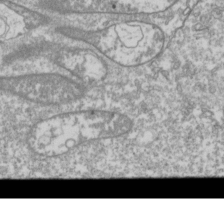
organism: Drosophila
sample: Cell division; meiosis; drosophila spermatocytes